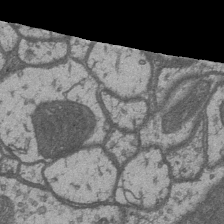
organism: Drosophila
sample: Optic medulla